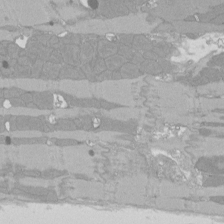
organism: Rat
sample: Left ventricle